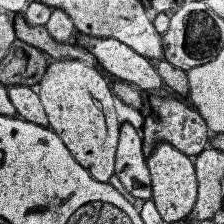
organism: Human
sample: Temporal Lobe